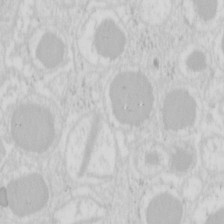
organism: Mouse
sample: Pancreas